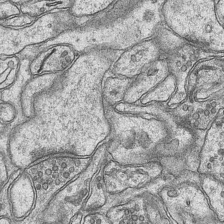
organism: Mouse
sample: CA1 Hippocampus